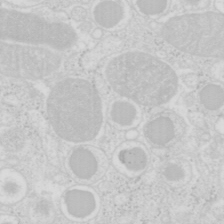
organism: Mouse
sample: Pancreas